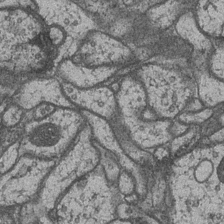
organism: Drosophila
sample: Optic medulla